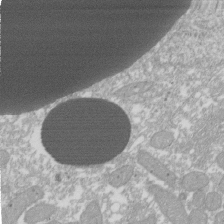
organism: Xenopus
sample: Cilia; centrioles in frog embryo cells